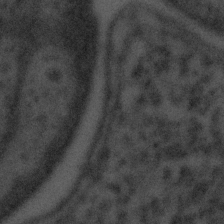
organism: Tuwongella immobilis